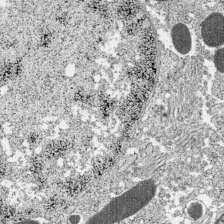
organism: C57BL Mouse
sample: Pancreatic islet